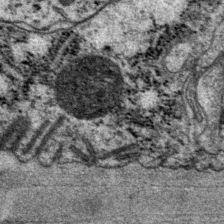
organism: P. pacificus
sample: Pharynx